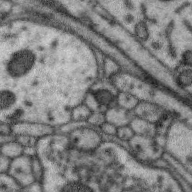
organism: Zebra finch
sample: Brain